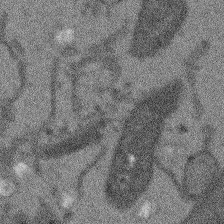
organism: Arabidopsis thaliana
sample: Root tip